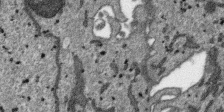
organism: Human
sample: Lung epithelial cells, uninfected (mock) control